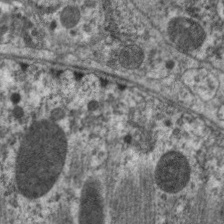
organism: C. elegans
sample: Pharynx